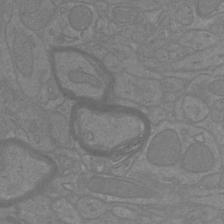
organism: Mouse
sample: Cortical neurons